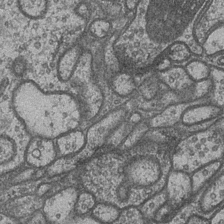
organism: Drosophila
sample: Optic medulla